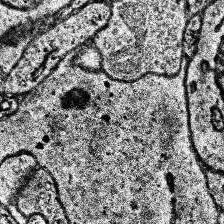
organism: Human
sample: Temporal Lobe